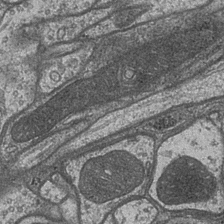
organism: Drosophila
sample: Optic medulla